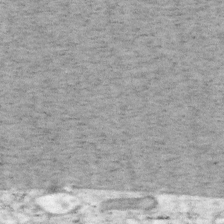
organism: Mouse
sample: OT-I killer T cells with ID8 ovarian cancer cells